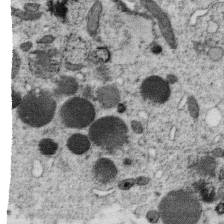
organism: C. elegans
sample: C. elegans oocyte; sperm cells